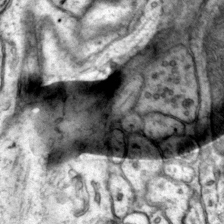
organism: Mouse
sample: Primary visual cortex